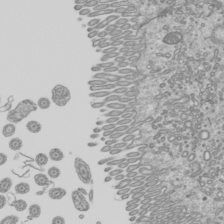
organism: Mouse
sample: Cilia; mouse epididymis